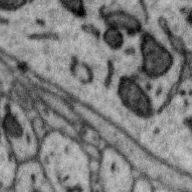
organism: Zebra finch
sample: Brain